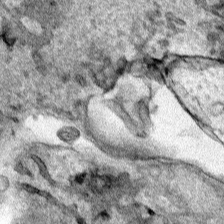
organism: Human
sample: Mitochondria in HCT116 cells